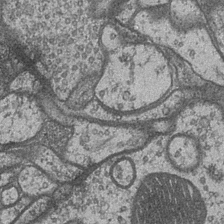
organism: Drosophila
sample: Optic medulla